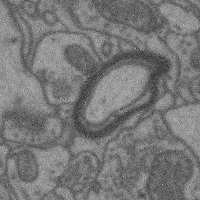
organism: Mouse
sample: Cerebral cortex